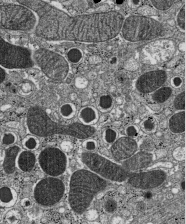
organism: C57BL Mouse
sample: Pancreatic islet